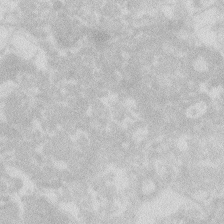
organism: Zebrafish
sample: Macrophage